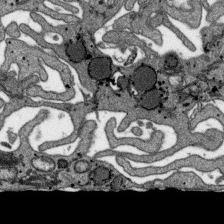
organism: Human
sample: Lung epithelial cells, uninfected (mock) control